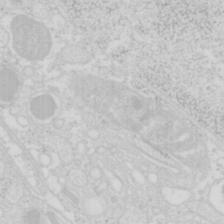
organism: Mouse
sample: Pancreas